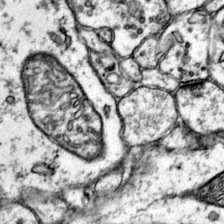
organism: Mouse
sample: Primary visual cortex